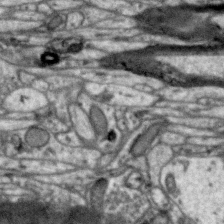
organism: Zebra finch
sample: Brain